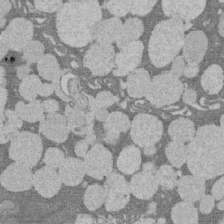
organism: Rat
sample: Salivary granule